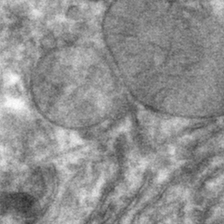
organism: Mouse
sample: Mouse hepatocytes